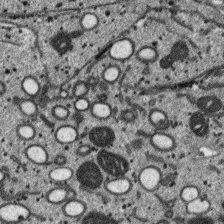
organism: Human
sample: Lung epithelial cells infected with SARS-CoV-2